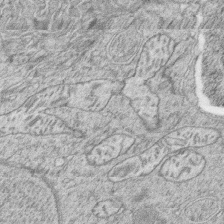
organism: Zebrafish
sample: synaptic ribbons in rod cells and cone cells